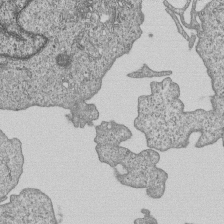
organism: Human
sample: MDA-MB-231 cells